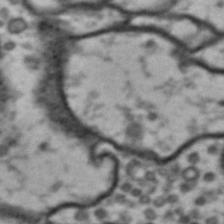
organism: Drosophila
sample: Brain